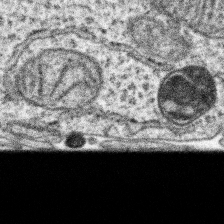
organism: Human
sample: HeLa cells